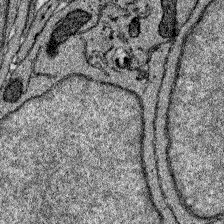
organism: Zebrafish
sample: Larval olfactory bulb